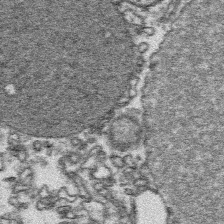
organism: Platynereis dumerilii